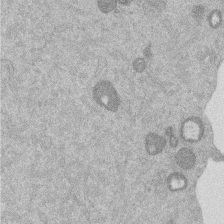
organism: Mouse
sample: Dividing mouse embryo 1 cell stage